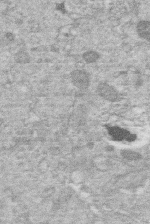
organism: Human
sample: Macrophage cells